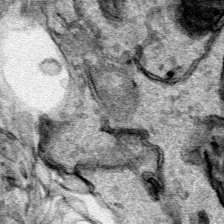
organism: Human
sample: Mitochondria in HCT116 cells